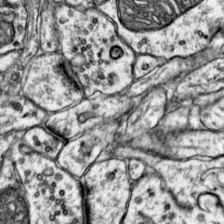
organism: Mouse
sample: Primary visual cortex